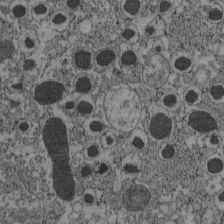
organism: C57BL Mouse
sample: Pancreatic islet